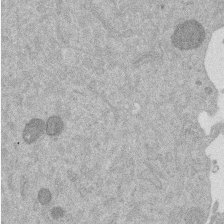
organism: Mouse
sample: Dividing mouse embryo 1 cell stage